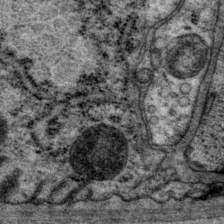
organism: P. pacificus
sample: Pharynx